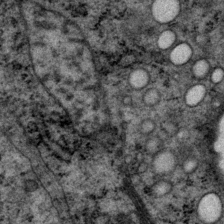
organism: P. pacificus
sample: Pharynx